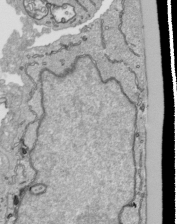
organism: Human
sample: Mitochondria in HCT116 cells